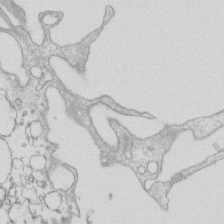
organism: Mouse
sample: Macrophages